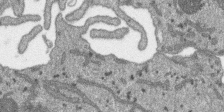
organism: Human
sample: Lung epithelial cells infected with SARS-CoV-2